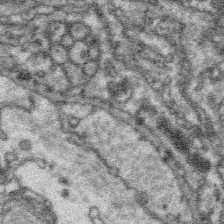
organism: Platynereis dumerilii